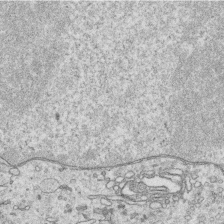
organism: Human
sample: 1205lu cells